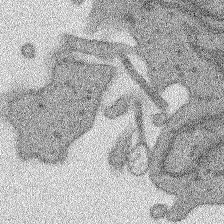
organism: Human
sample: HeLa cells